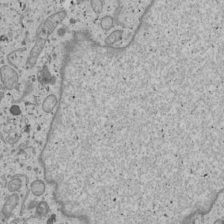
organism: Human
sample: Mitochondria in U2OS cells